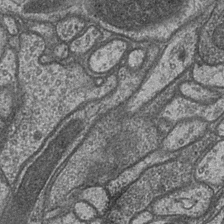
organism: Drosophila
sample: Optic medulla